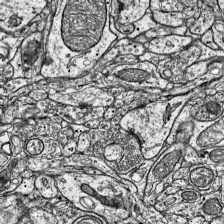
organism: Mouse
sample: Visual Cortex